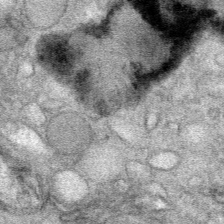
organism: Mouse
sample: Mouse Salivary gland